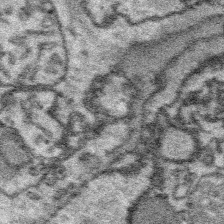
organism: Platynereis dumerilii